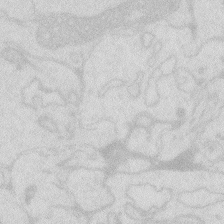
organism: Zebrafish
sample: Macrophage